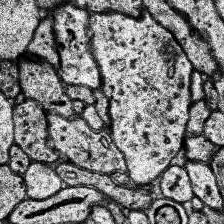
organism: Human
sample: Temporal Lobe